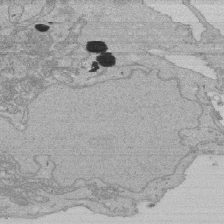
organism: Human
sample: Activated Jurkat CD4+ T cells